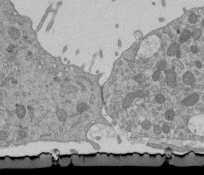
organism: Mouse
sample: ED-1 cell nuclei; centrioles